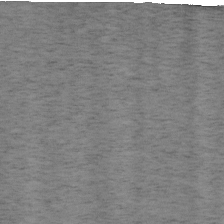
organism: Mouse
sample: OT-I killer T cells with ID8 ovarian cancer cells